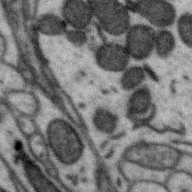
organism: Zebra finch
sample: Brain